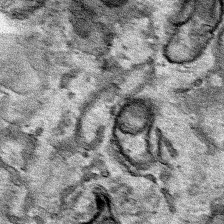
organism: Human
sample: Mitochondria in HCT116 cells